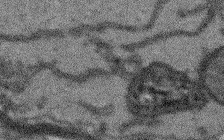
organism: Arabidopsis thaliana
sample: Root tip